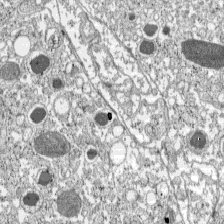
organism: C57BL Mouse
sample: Pancreatic islet